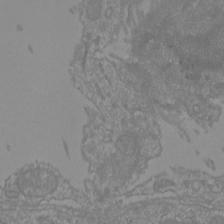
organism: Mouse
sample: Cortical neurons